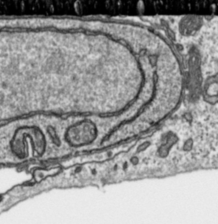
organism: Toxoplasma gondii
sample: Parasites in a vacuole inside a host cell